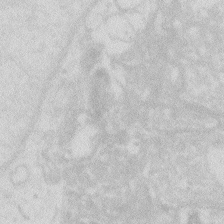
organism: Zebrafish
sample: Macrophage